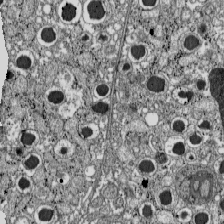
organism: C57BL Mouse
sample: Pancreatic islet